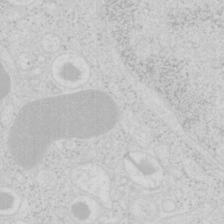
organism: Mouse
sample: Pancreas